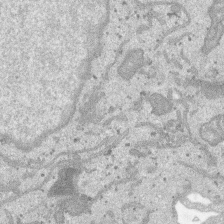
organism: Human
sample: Lung epithelial cells infected with SARS-CoV-2